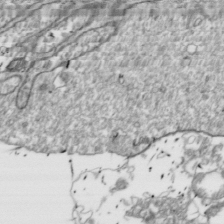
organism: Drosophila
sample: Cell division; meiosis; drosophila spermatocytes